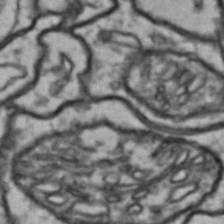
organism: Drosophila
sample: Brain